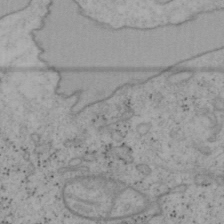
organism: Human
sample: HeLa cells